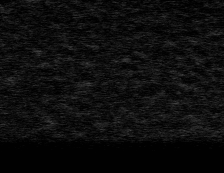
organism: Human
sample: HeLa cells